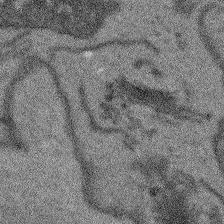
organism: Arabidopsis thaliana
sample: Root tip